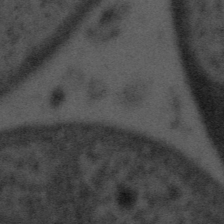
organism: Tuwongella immobilis